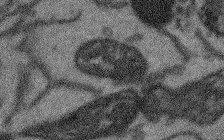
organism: Arabidopsis thaliana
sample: Root tip